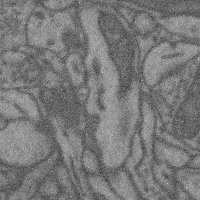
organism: Mouse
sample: Cerebral cortex